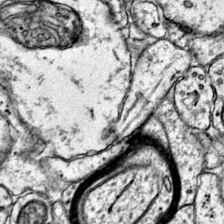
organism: Mouse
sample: Primary visual cortex